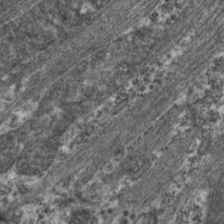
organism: C. elegans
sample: Pharynx